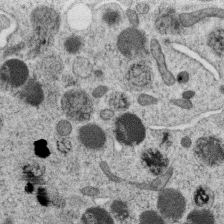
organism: C. elegans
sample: C. elegans oocyte; sperm cells